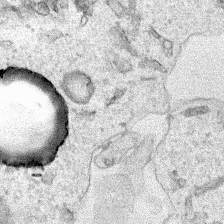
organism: Human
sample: Mitochondria in HCT116 cells